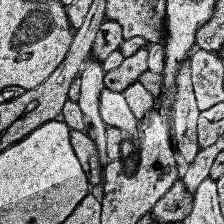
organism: Human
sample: Temporal Lobe